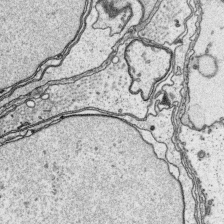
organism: Platynereis dumerilii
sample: Parapodia